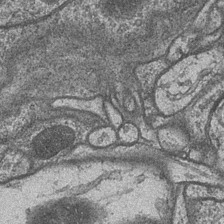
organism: Drosophila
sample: Optic medulla